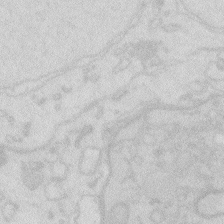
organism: Zebrafish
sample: Macrophage